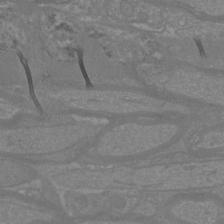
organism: Mouse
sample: Cortical neurons